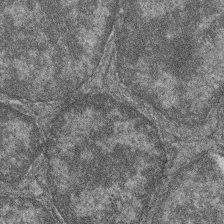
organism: Zebrafish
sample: Cilia; retinal pigment epithelium